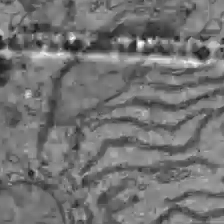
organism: C57BL Mouse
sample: Liver